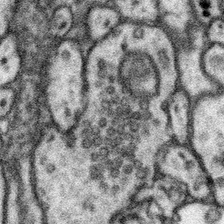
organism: Mouse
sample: Somatosensory cortex neuropil